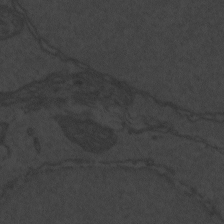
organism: Zebrafish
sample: Macrophage infected with Toxoplasma gondii